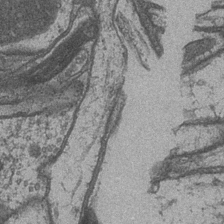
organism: Drosophila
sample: Optic medulla